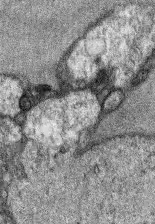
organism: Mouse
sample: Corneal nerves